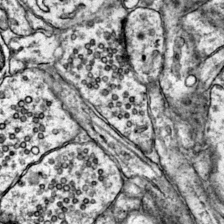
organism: Mouse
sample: Primary visual cortex